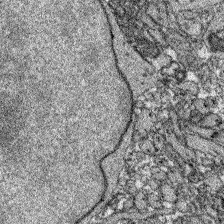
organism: Zebrafish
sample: Larval olfactory bulb